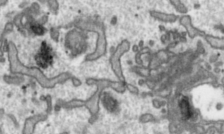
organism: Toxoplasma gondii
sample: Parasites in a vacuole inside a host cell